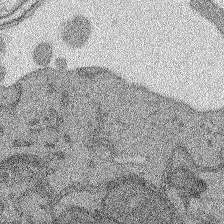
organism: Human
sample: HeLa cells